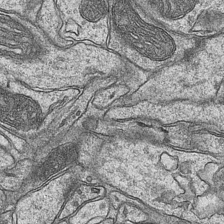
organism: Mouse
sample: CA1 Hippocampus